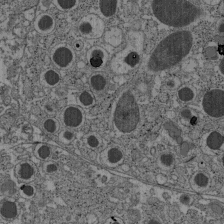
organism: C57BL Mouse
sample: Pancreatic islet